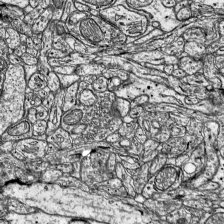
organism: Mouse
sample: Visual Cortex